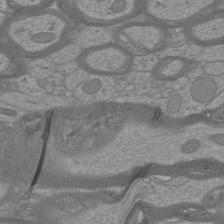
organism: Mouse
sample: Cortical neurons